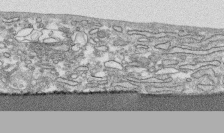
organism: Human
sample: CRL-1474